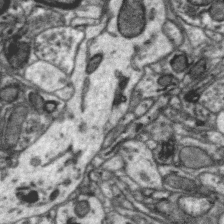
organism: Zebra finch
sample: Brain